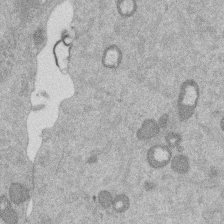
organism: Mouse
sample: Dividing mouse embryo 1 cell stage